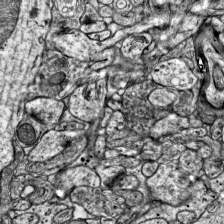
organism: Mouse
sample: Visual Cortex